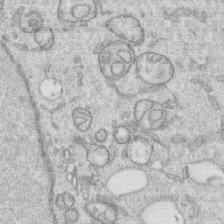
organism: Human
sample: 1205lu cells